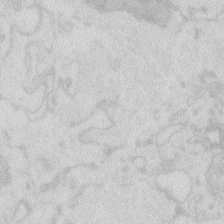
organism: Zebrafish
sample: Macrophage